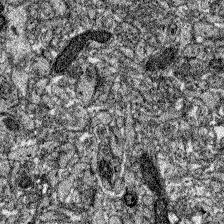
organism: Zebrafish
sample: Larval olfactory bulb